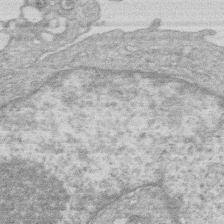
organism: Human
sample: Macrophage cells